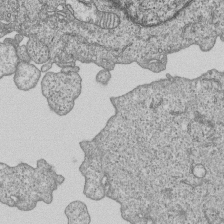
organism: Human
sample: MDA-MB-231 cells